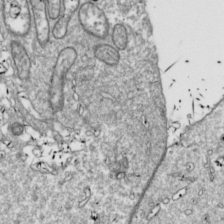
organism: Drosophila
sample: Cell division; meiosis; drosophila spermatocytes